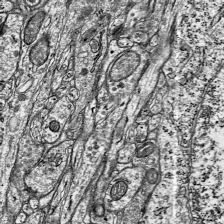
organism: Mouse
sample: Visual Cortex